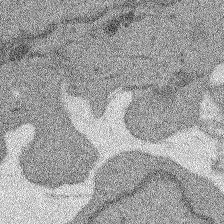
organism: Human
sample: HeLa cells